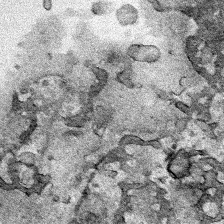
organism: Human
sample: Mitochondria in HCT116 cells